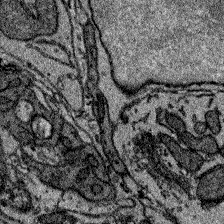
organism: Zebrafish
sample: Larval olfactory bulb